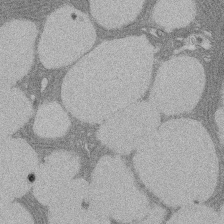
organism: Rat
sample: Salivary granule